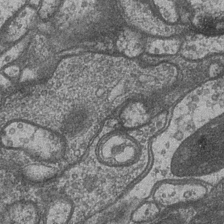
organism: Drosophila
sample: Optic medulla